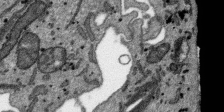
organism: Human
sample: Lung epithelial cells, uninfected (mock) control